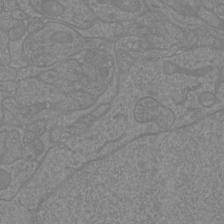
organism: Mouse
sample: Cortical neurons